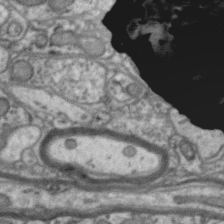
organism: Zebra finch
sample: Brain